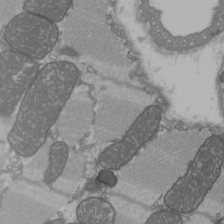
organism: C57BL Mouse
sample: Heart